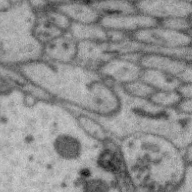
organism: Zebra finch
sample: Brain